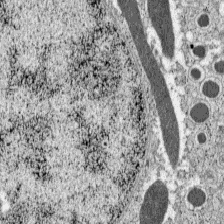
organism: C57BL Mouse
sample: Pancreatic islet